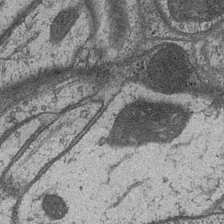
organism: Drosophila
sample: Optic medulla